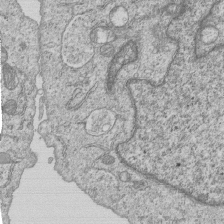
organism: Human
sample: MDA-MB-231 cells